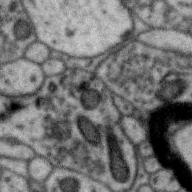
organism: Zebra finch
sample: Brain